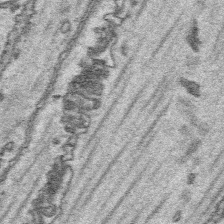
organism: Platynereis dumerilii